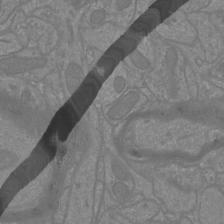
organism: Mouse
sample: Cortical neurons